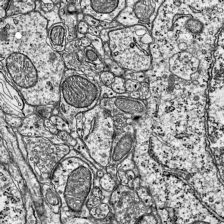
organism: Mouse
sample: Visual Cortex